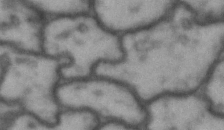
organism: Drosophila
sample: Brain